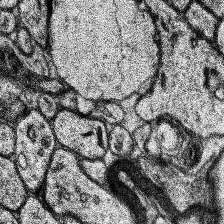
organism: Human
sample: Temporal Lobe